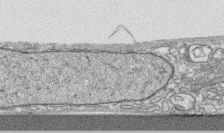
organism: Human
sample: CRL-1474